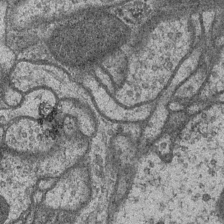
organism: Drosophila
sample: Optic medulla